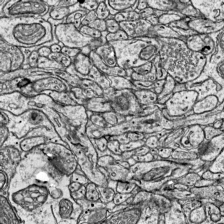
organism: Mouse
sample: Visual Cortex